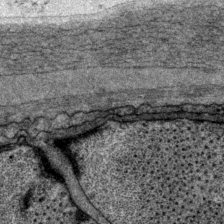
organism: P. pacificus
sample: Pharynx